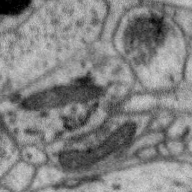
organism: Zebra finch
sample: Brain